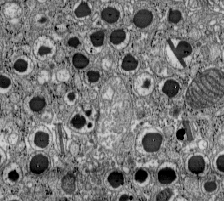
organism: C57BL Mouse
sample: Pancreatic islet